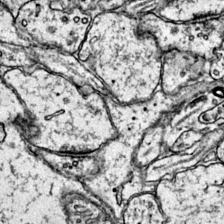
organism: Mouse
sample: Primary visual cortex